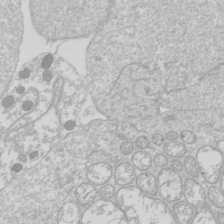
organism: Drosophila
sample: Cell division; meiosis; drosophila spermatocytes